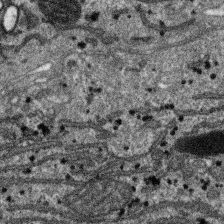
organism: Human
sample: Lung epithelial cells infected with SARS-CoV-2